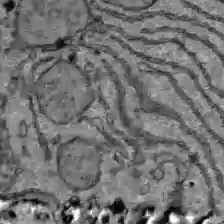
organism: C57BL Mouse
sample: Liver